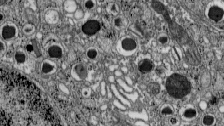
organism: C57BL Mouse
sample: Pancreatic islet